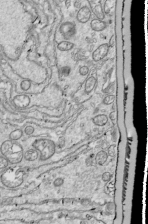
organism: Drosophila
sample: Cell division; meiosis; drosophila spermatocytes